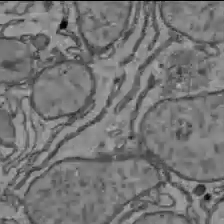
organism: C57BL Mouse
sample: Liver